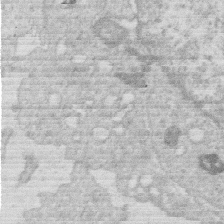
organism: Human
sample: Macrophage cells